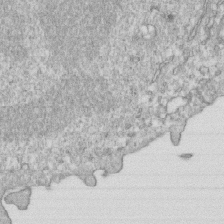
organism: Mouse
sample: Activated OT-1 CD8+ T cells